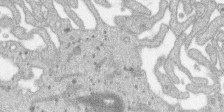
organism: Human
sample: Lung epithelial cells infected with SARS-CoV-2